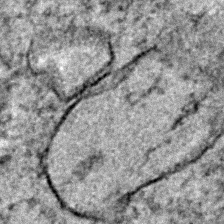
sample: Trachea